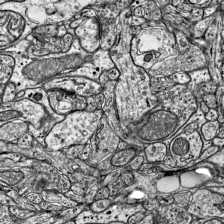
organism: Mouse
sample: Visual Cortex